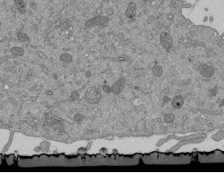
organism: Mouse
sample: ED-1 cell nuclei; centrioles